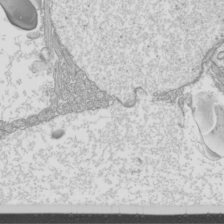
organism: Mouse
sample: Cilia; mouse epididymis